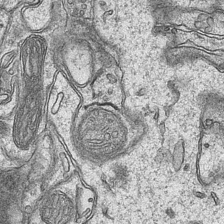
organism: Mouse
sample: CA1 Hippocampus